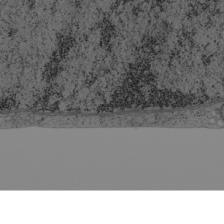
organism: African green monkey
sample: COS-7 cells